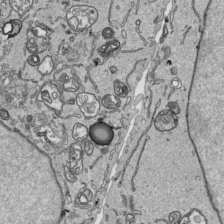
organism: Human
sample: Mitochondria in HCT116 cells